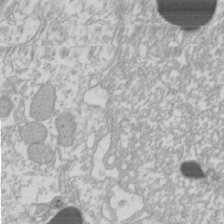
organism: Xenopus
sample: Cilia; centrioles in frog embryo cells